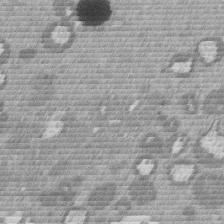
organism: Mouse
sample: Dividing mouse embryo 1 cell stage